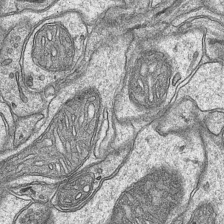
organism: Mouse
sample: CA1 Hippocampus